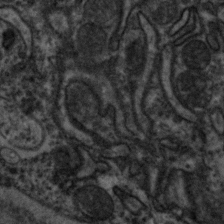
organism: Zebrafish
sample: Zebrafish embryo